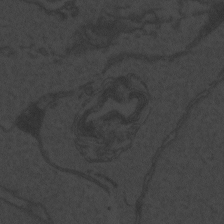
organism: Zebrafish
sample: Macrophage infected with Toxoplasma gondii